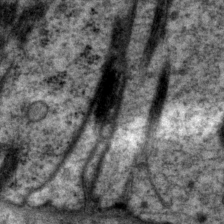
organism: P. pacificus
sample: Pharynx